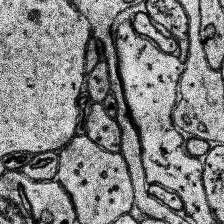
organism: Human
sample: Temporal Lobe